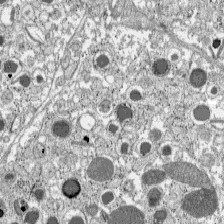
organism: C57BL Mouse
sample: Pancreatic islet